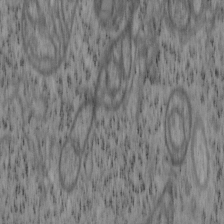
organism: Human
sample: HeLa cells